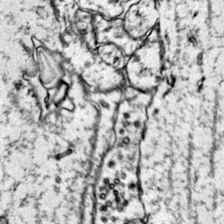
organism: Mouse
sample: Primary visual cortex